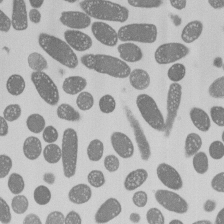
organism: E. coli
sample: Bacterial nucleoid